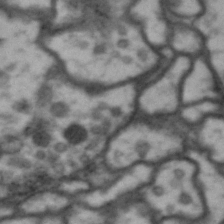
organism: Drosophila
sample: Brain